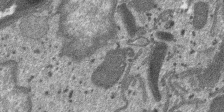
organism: Human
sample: Lung epithelial cells infected with SARS-CoV-2